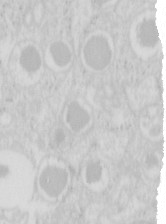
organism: Mouse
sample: Pancreas